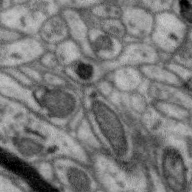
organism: Zebra finch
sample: Brain